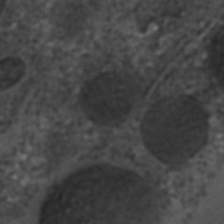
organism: C. elegans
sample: C. elegans embryo